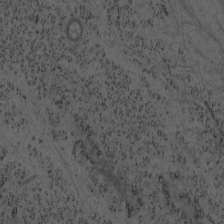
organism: Mouse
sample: OT-I killer T cells with ID8 ovarian cancer cells